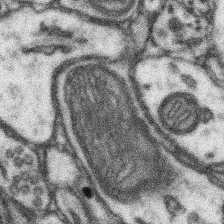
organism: Mouse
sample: Somatosensory cortex neuropil